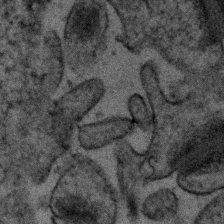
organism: Human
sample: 1205lu cells